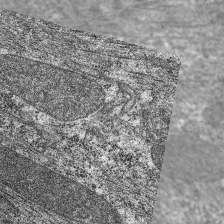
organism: C. elegans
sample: Pharynx